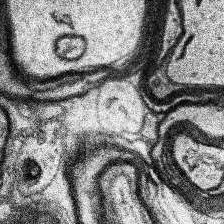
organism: Human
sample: Temporal Lobe